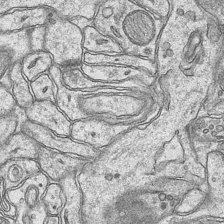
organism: Mouse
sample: CA1 Hippocampus